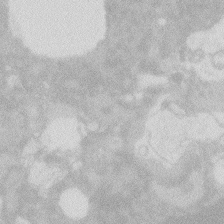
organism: Zebrafish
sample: Macrophage